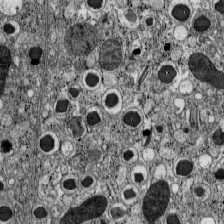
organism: C57BL Mouse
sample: Pancreatic islet